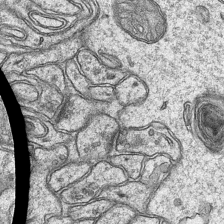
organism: Mouse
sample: CA1 Hippocampus